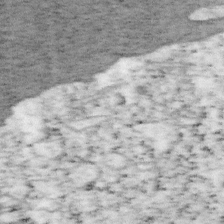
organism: Mouse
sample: OT-I killer T cells with ID8 ovarian cancer cells